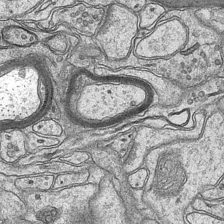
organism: Mouse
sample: CA1 Hippocampus